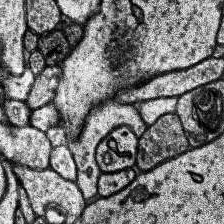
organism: Human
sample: Temporal Lobe